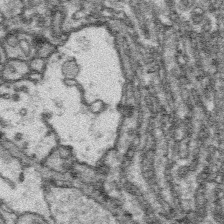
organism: Platynereis dumerilii